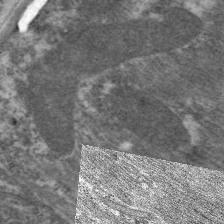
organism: C. elegans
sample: Pharynx